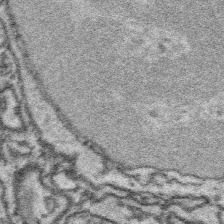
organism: Platynereis dumerilii